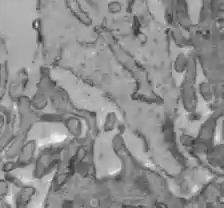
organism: C57BL Mouse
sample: Liver